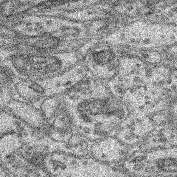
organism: Mouse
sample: Retina